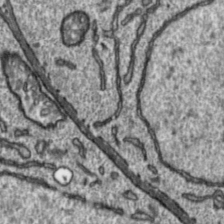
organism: Toxoplasma gondii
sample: Parasites in a vacuole inside a host cell